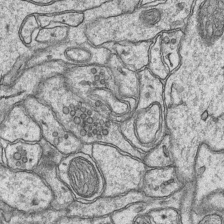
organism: Mouse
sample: CA1 Hippocampus